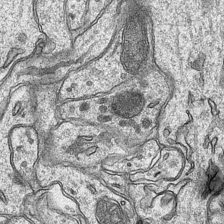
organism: Mouse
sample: CA1 Hippocampus